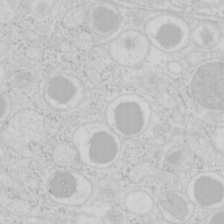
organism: Mouse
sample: Pancreas